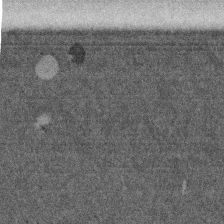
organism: Mouse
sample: Dividing mouse embryo 1 cell stage